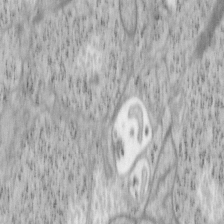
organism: Human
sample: HeLa cells